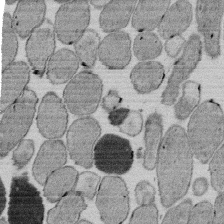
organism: E. coli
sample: Bacterial nucleoid